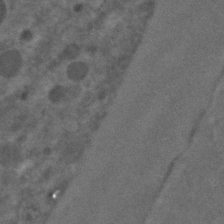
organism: C. elegans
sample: C. elegans embryo